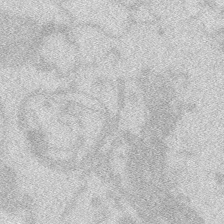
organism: Zebrafish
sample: Macrophage